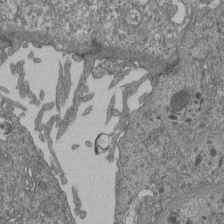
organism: Human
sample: Retinal organoid Rod and Cone cells